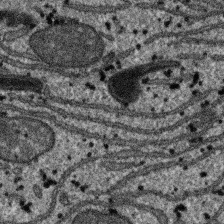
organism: Human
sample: Lung epithelial cells infected with SARS-CoV-2